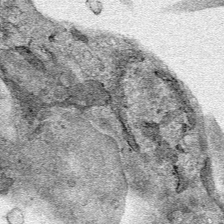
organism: Human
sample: Mitochondria in HCT116 cells